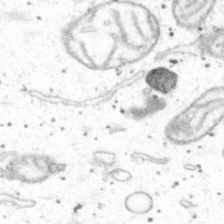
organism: Human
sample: HeLa cells